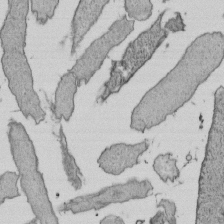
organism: E. coli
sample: Bacterial nucleoid